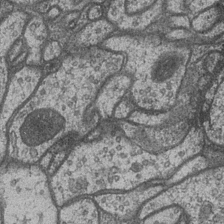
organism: Drosophila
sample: Optic medulla